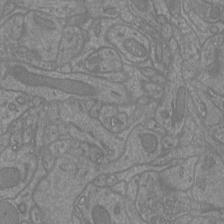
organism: Mouse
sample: Cortical neurons